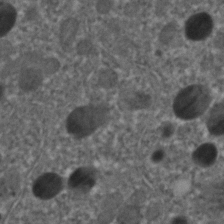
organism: C. elegans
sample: C. elegans embryo